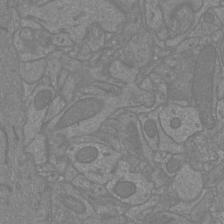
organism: Mouse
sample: Cortical neurons